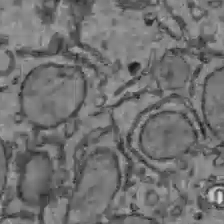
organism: C57BL Mouse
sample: Liver